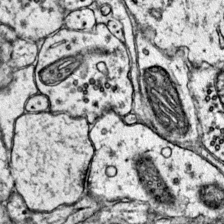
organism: Mouse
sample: Primary visual cortex